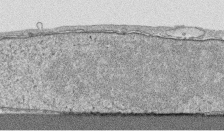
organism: Human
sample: CRL-1474